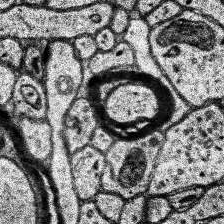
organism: Human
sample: Temporal Lobe